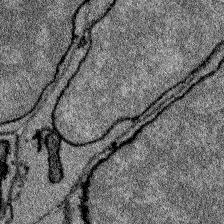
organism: Zebrafish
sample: Larval olfactory bulb